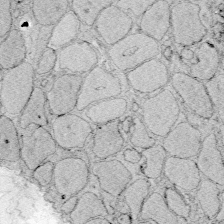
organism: Zebrafish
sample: Whole-Brain